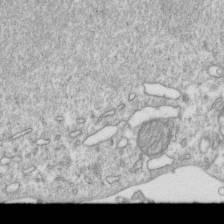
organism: Mouse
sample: Activated OT-1 CD8+ T cells